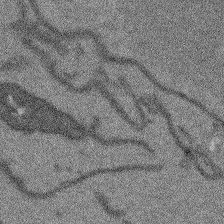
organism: Arabidopsis thaliana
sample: Root tip